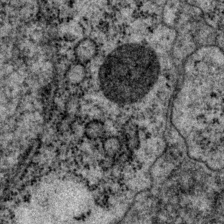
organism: P. pacificus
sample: Pharynx